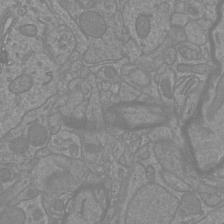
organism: Mouse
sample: Cortical neurons